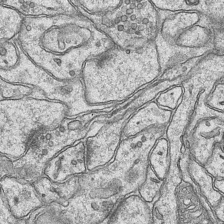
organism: Mouse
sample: CA1 Hippocampus